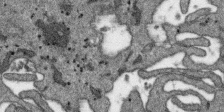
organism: Human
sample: Lung epithelial cells, uninfected (mock) control